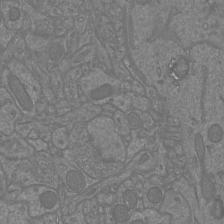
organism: Mouse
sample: Cortical neurons